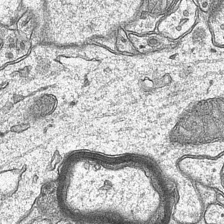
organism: Mouse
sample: CA1 Hippocampus